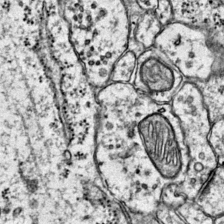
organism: Mouse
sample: Primary visual cortex